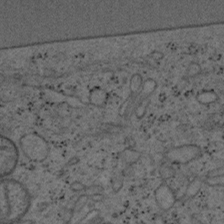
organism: Human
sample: HeLa cells